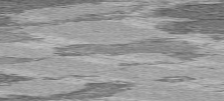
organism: C57BL Mouse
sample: Heart